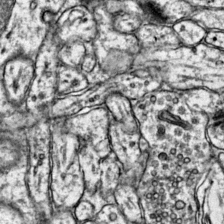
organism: Mouse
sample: Primary visual cortex